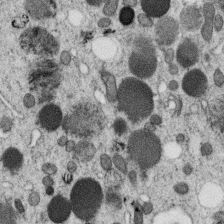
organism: C. elegans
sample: C. elegans oocyte; sperm cells